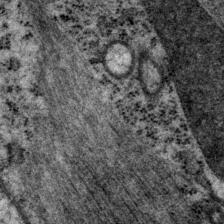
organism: P. pacificus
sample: Pharynx